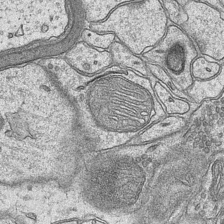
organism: Mouse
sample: CA1 Hippocampus